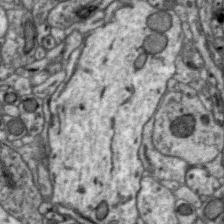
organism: Zebra finch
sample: Brain